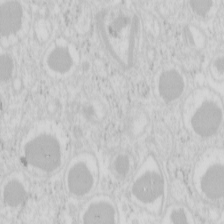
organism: Mouse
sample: Pancreas